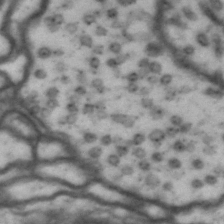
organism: Drosophila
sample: Brain